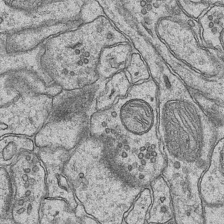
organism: Mouse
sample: CA1 Hippocampus